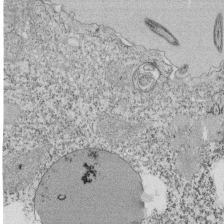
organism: Tetrahymena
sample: Cilia in tetrahymena